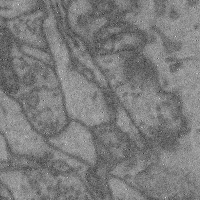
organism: Mouse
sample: Cerebral cortex